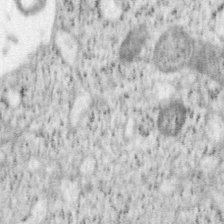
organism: Mouse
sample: OT-I killer T cells with ID8 ovarian cancer cells